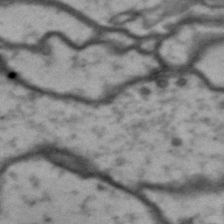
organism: Drosophila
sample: Brain